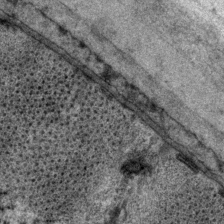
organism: P. pacificus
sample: Pharynx